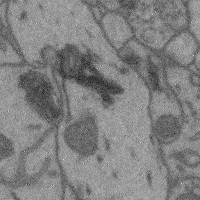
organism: Mouse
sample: Cerebral cortex